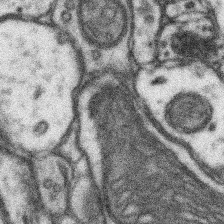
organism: Mouse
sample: Somatosensory cortex neuropil